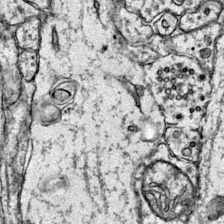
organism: Mouse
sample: Primary visual cortex